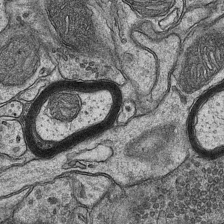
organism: Mouse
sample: CA1 Hippocampus